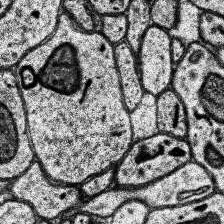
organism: Human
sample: Temporal Lobe